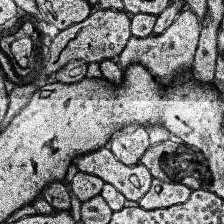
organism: Human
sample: Temporal Lobe